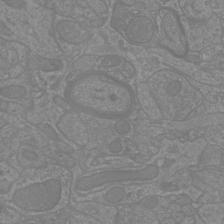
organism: Mouse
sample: Cortical neurons